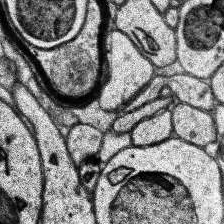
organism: Human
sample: Temporal Lobe